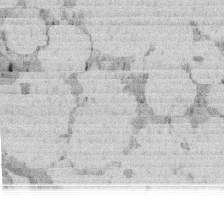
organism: Rat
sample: Salivary granule